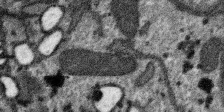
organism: Human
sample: Lung epithelial cells infected with SARS-CoV-2